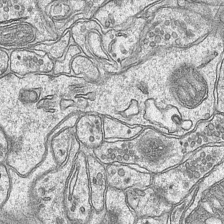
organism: Mouse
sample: CA1 Hippocampus